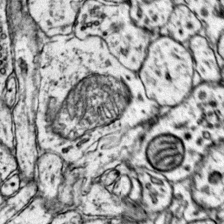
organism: Mouse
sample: Primary visual cortex